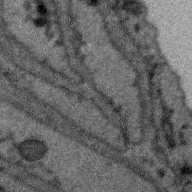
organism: Zebra finch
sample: Brain